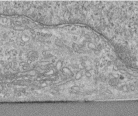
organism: Human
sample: Centriole in RPE cells